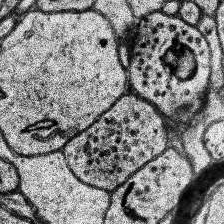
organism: Human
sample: Temporal Lobe